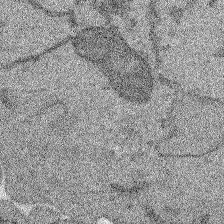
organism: Human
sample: HeLa cells